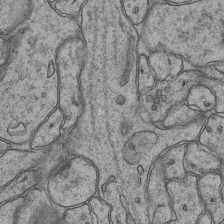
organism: Mouse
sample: CA1 Hippocampus